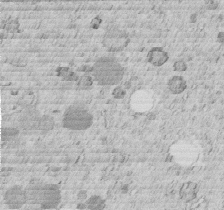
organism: C. elegans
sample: C. elegans embryo early stage